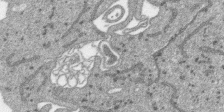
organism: Human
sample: Lung epithelial cells infected with SARS-CoV-2